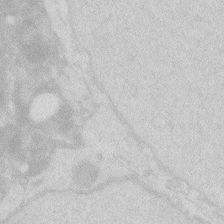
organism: Zebrafish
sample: Macrophage